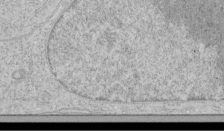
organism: Human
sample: Mitochondria in HCT116 cells